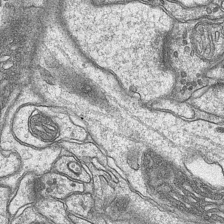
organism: Mouse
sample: CA1 Hippocampus